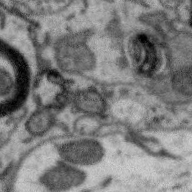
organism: Zebra finch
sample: Brain